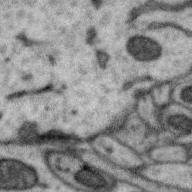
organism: Zebra finch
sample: Brain